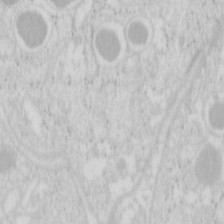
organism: Mouse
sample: Pancreas